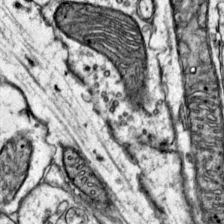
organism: Mouse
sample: Primary visual cortex